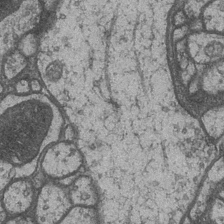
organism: Drosophila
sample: Optic medulla